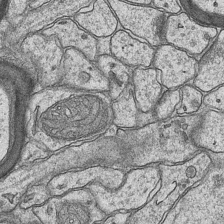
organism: Mouse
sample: CA1 Hippocampus